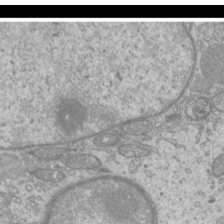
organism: Mouse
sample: Cilia; mouse epididymis